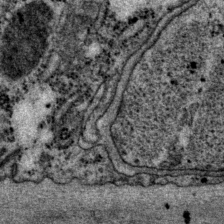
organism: P. pacificus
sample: Pharynx